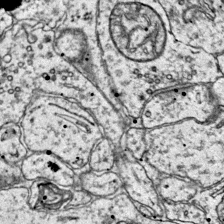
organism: Mouse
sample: Primary visual cortex